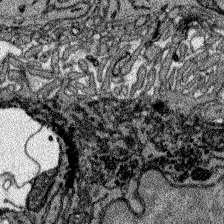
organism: Zebrafish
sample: Larval olfactory bulb